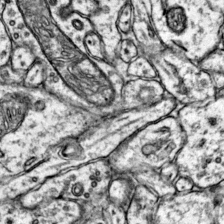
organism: Mouse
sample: Primary visual cortex